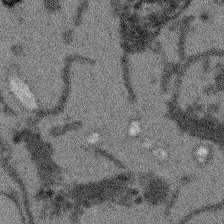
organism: Arabidopsis thaliana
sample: Root tip